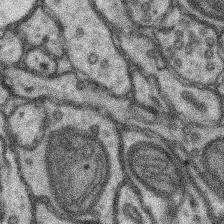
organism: Mouse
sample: Somatosensory cortex neuropil